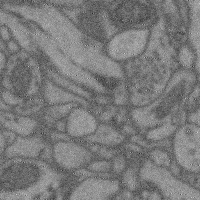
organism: Mouse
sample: Cerebral cortex